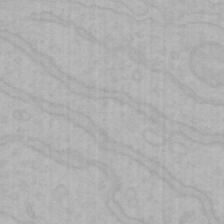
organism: Mouse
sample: Choroid plexus